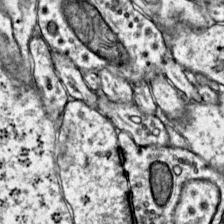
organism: Mouse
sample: Primary visual cortex